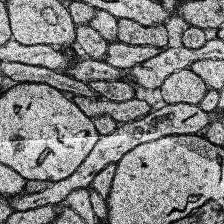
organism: Human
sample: Temporal Lobe